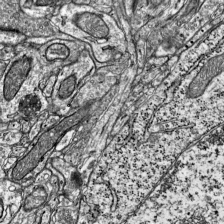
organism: Mouse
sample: Visual Cortex